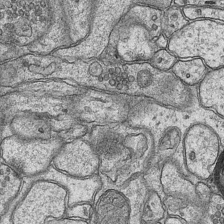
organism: Mouse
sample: CA1 Hippocampus